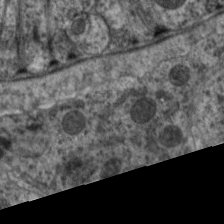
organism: C. elegans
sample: Pharynx